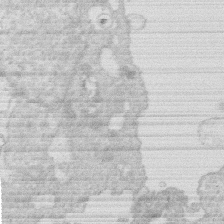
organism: Human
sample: Macrophage cells